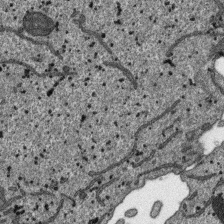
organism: Human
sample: Lung epithelial cells infected with SARS-CoV-2